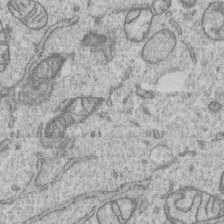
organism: Human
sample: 1205lu cells